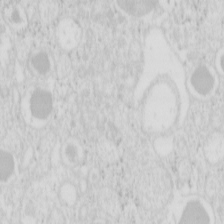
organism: Mouse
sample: Pancreas